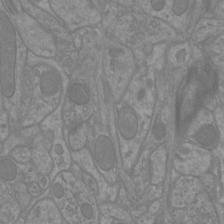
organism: Mouse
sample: Cortical neurons